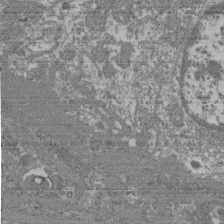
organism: Mouse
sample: Glomerulus